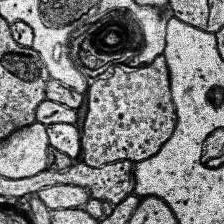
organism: Human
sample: Temporal Lobe